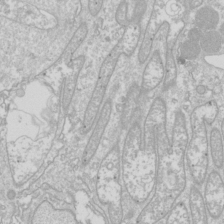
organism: Drosophila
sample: Cell division; meiosis; drosophila spermatocytes